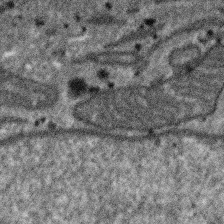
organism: Human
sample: Lung epithelial cells infected with SARS-CoV-2